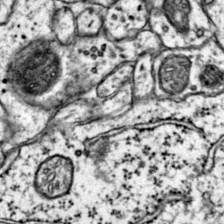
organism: Mouse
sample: Primary visual cortex